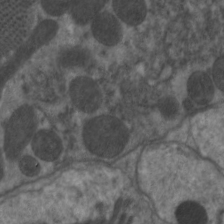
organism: C. elegans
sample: Pharynx